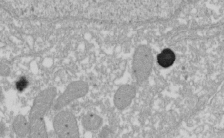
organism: Xenopus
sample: Cilia; centrioles in frog embryo cells